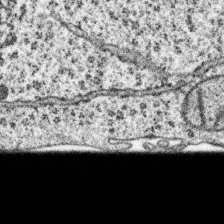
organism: Human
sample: HeLa cells